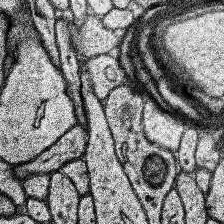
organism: Human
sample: Temporal Lobe